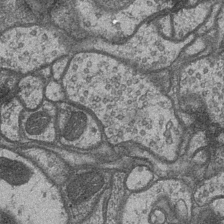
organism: Drosophila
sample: Optic medulla